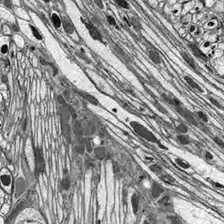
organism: Drosophila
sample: Optic lobe